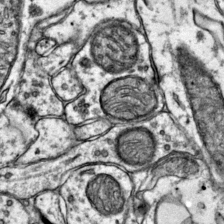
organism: Mouse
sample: Primary visual cortex